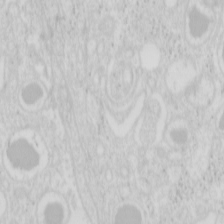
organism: Mouse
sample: Pancreas